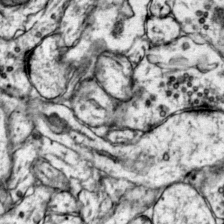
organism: Mouse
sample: Primary visual cortex